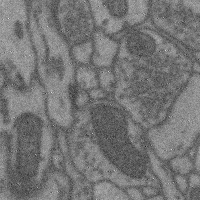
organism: Mouse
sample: Cerebral cortex